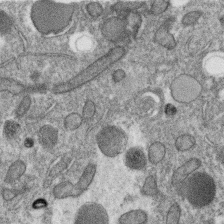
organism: C. elegans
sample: C. elegans oocyte; sperm cells